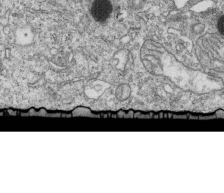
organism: Human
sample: HeLa cell HIV synapse